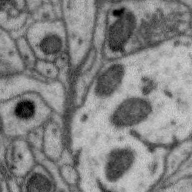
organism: Zebra finch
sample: Brain